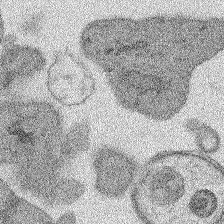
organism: Human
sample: HeLa cells